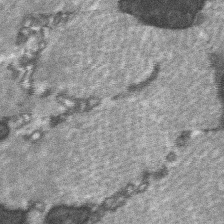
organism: C57BL Mouse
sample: Soleus